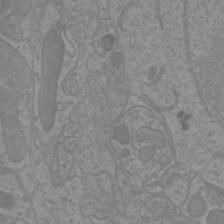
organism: Mouse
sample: Cortical neurons